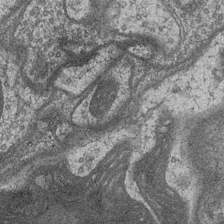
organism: Drosophila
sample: Optic medulla